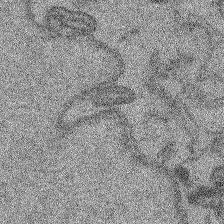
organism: Human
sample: HeLa cells